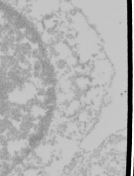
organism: Mouse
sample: Cancer cell death in ED-1 cells